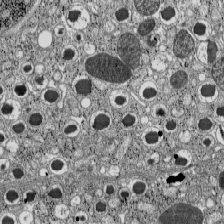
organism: C57BL Mouse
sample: Pancreatic islet